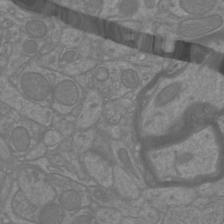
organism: Mouse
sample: Cortical neurons